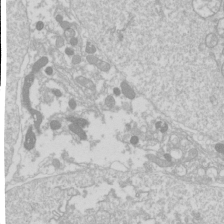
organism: Drosophila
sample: Cell division; meiosis; drosophila spermatocytes